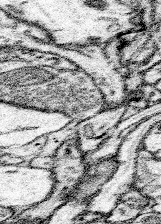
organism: Mouse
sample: Somatosensory cortex neuropil